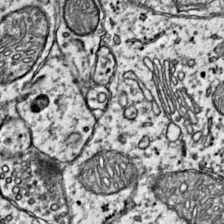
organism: Mouse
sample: Primary visual cortex